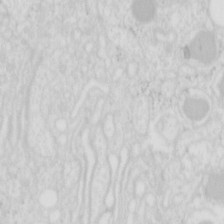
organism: Mouse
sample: Pancreas